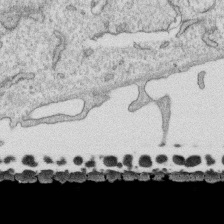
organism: Human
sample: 1205lu cells